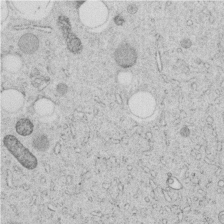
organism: C. elegans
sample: C. elegans embryo early stage